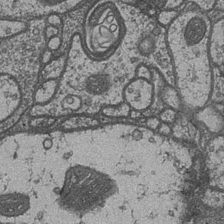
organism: Drosophila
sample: Optic medulla